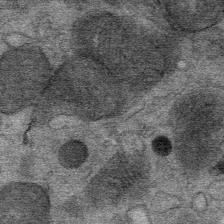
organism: Mouse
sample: Mouse Salivary gland